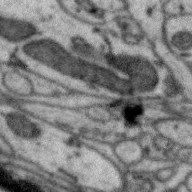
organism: Zebra finch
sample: Brain